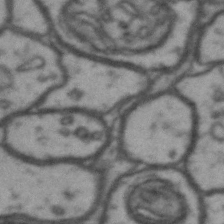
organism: Drosophila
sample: Brain